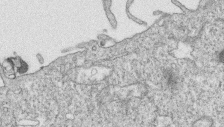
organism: Human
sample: HeLa cell HIV synapse